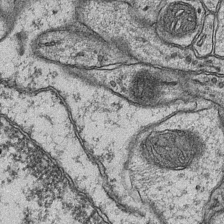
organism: Mouse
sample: CA1 Hippocampus